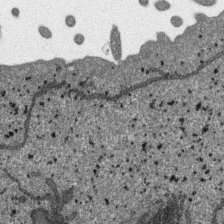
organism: Human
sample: Lung epithelial cells infected with SARS-CoV-2